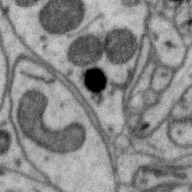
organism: Zebra finch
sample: Brain